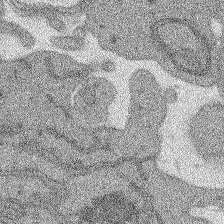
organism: Human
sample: HeLa cells